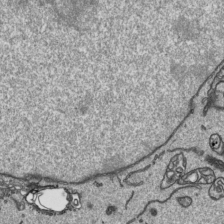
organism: Human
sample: Mitochondria in HCT116 cells